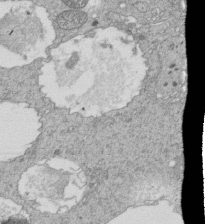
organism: Tetrahymena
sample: Cilia in tetrahymena